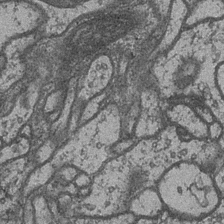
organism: Drosophila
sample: Optic medulla